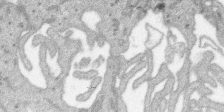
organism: Human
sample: Lung epithelial cells infected with SARS-CoV-2